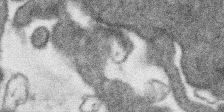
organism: Human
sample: Lung epithelial cells infected with SARS-CoV-2